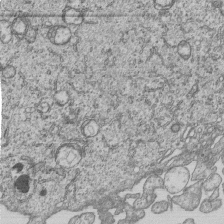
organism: Human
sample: MDA-MB-231 cells